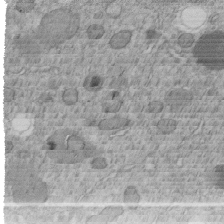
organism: C. elegans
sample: C. elegans embryo early stage